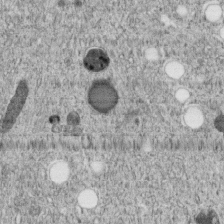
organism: C. elegans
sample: C. elegans embryo early stage